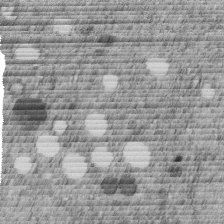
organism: C. elegans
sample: C. elegans embryo early stage